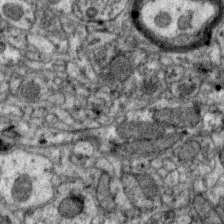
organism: Zebra finch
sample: Brain